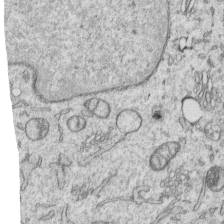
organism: Human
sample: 1205lu cells